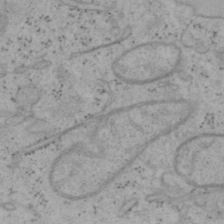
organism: Human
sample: HeLa cells